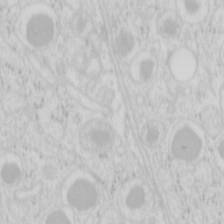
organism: Mouse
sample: Pancreas